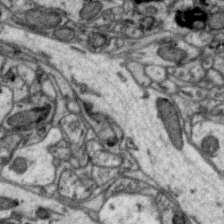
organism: Zebra finch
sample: Brain